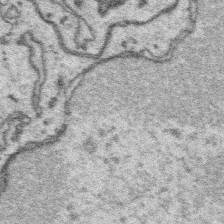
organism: Platynereis dumerilii